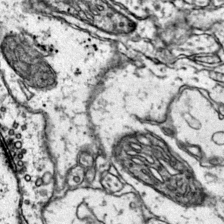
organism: Mouse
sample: Primary visual cortex